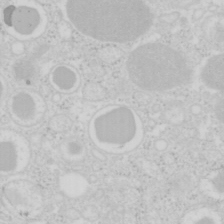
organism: Mouse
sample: Pancreas